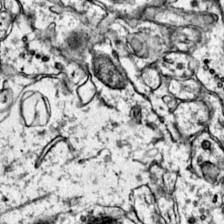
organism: Mouse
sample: Primary visual cortex